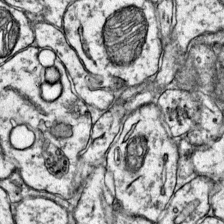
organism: Mouse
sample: Primary visual cortex